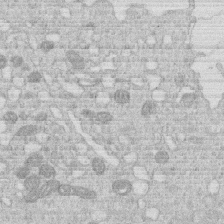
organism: Human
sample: Macrophage cells